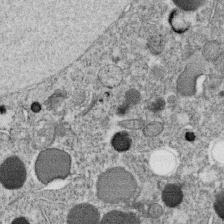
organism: C. elegans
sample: C. elegans oocyte; sperm cells